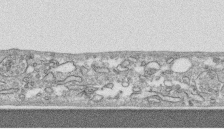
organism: Human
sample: CRL-1474